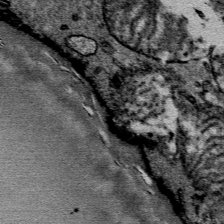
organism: Mouse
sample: Mouse Salivary gland